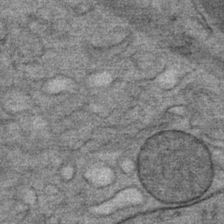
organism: Mouse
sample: Mouse Salivary gland